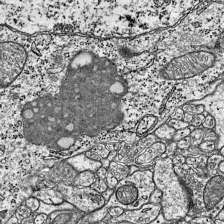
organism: Mouse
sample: Visual Cortex